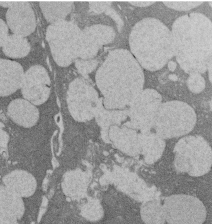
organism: Rat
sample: Salivary granule